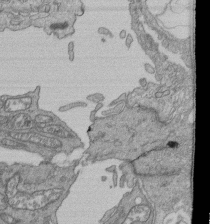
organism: Human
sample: Retinal organoid Rod and Cone cells